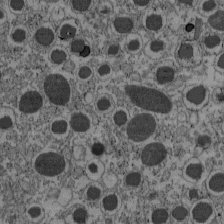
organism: C57BL Mouse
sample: Pancreatic islet